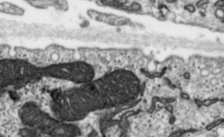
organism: Toxoplasma gondii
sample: Parasites in a vacuole inside a host cell